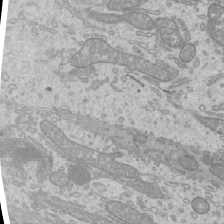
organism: Mouse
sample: Cilia; mouse epididymis